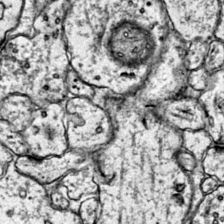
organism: Mouse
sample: Primary visual cortex